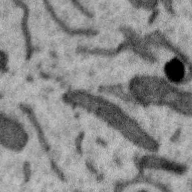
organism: Zebra finch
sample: Brain